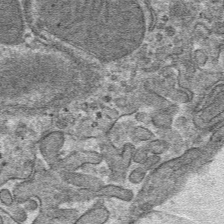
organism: Mouse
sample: Mouse hepatocytes